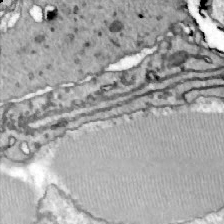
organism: Zebrafish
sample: Actinotrichia fibers